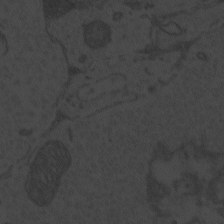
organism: Zebrafish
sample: Macrophage infected with Toxoplasma gondii